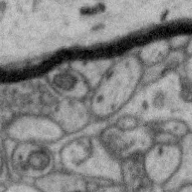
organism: Zebra finch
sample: Brain